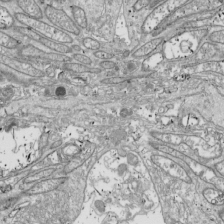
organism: Drosophila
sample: Cell division; meiosis; drosophila spermatocytes